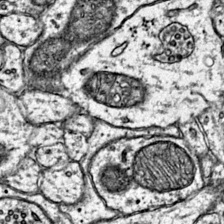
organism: Mouse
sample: Primary visual cortex